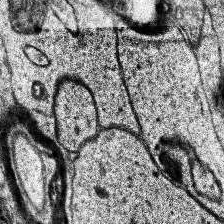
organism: Human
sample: Temporal Lobe